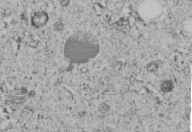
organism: C. elegans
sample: C. elegans embryo early stage